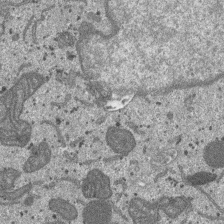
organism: Human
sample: Lung epithelial cells infected with SARS-CoV-2